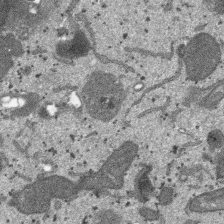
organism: Human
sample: Lung epithelial cells infected with SARS-CoV-2